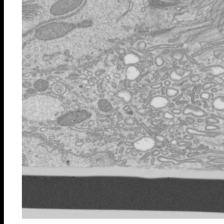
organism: Mouse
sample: Cilia; mouse epididymis